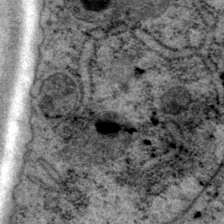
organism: P. pacificus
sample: Pharynx